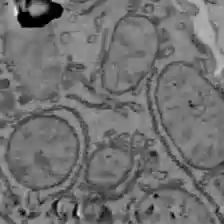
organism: C57BL Mouse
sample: Liver